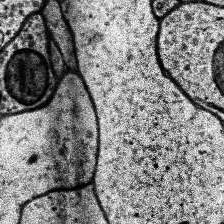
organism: Human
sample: Temporal Lobe